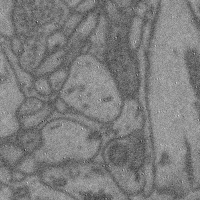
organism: Mouse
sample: Cerebral cortex